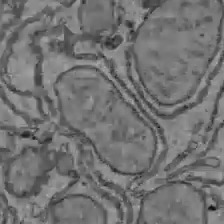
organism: C57BL Mouse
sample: Liver